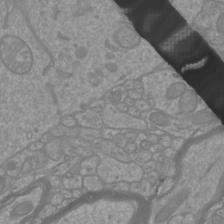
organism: Mouse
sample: Cortical neurons